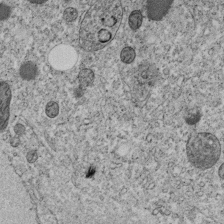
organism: C. elegans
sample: C. elegans embryo early stage